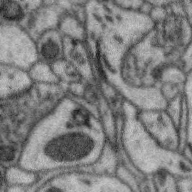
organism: Zebra finch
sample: Brain